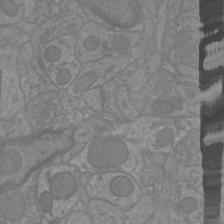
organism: Mouse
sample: Cortical neurons